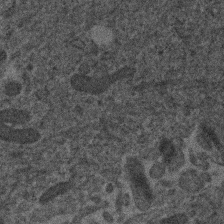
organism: Human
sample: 1205lu cells